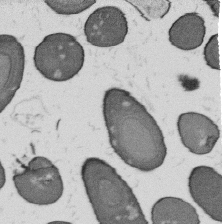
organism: B. subtilis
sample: Bacterial spore